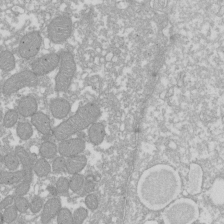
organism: Xenopus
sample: Cilia; centrioles in frog embryo cells